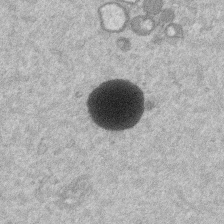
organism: Mouse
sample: Dividing mouse embryo 1 cell stage